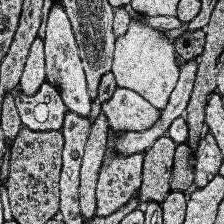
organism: Human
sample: Temporal Lobe